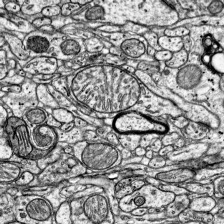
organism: Mouse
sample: Visual Cortex